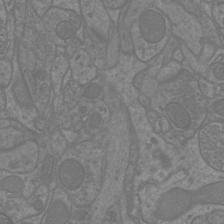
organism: Mouse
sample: Cortical neurons